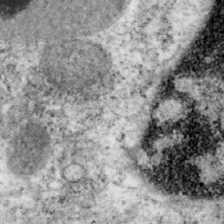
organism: Mouse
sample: OT-I killer T cells with ID8 ovarian cancer cells